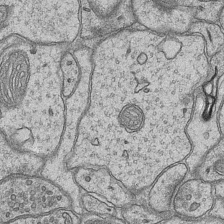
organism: Mouse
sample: CA1 Hippocampus